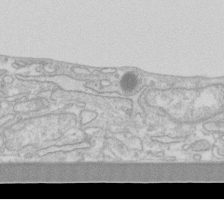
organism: Human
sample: Fibroblast cells